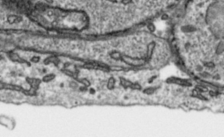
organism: Toxoplasma gondii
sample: Parasites in a vacuole inside a host cell